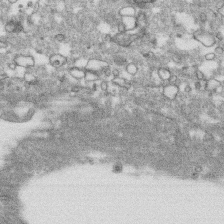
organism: Human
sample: CRL-1474